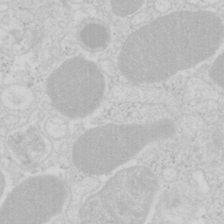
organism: Mouse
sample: Pancreas